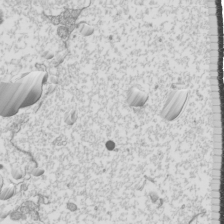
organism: Mouse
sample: Cilia; mouse epididymis